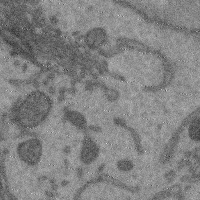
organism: Mouse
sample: Cerebral cortex